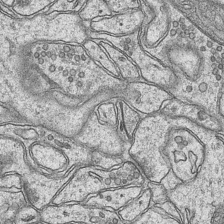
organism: Mouse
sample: CA1 Hippocampus